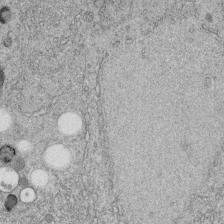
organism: C. elegans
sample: C. elegans embryo early stage